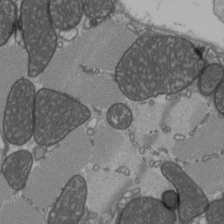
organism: C57BL Mouse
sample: Heart